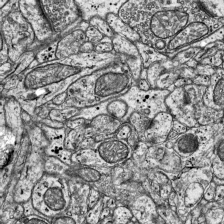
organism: Mouse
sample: Visual Cortex